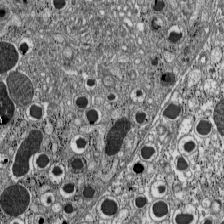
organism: C57BL Mouse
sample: Pancreatic islet